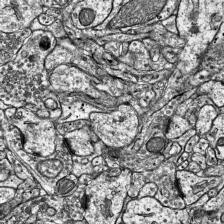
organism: Mouse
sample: Visual Cortex